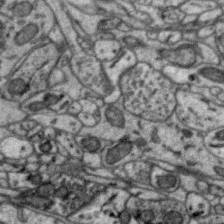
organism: Zebra finch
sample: Brain